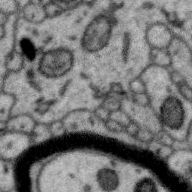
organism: Zebra finch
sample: Brain